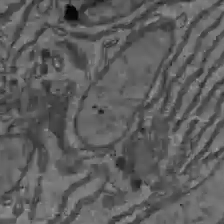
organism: C57BL Mouse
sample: Liver